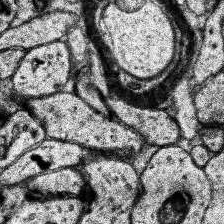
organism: Human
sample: Temporal Lobe